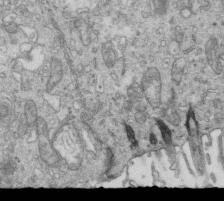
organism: Mouse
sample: Multiciliated cells